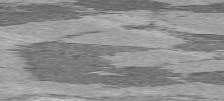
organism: C57BL Mouse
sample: Heart